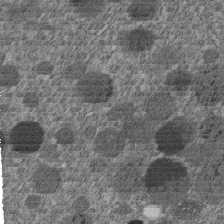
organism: C. elegans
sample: C. elegans embryo early stage